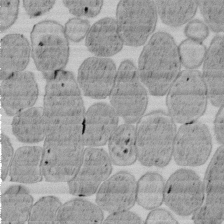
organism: E. coli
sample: Bacterial nucleoid